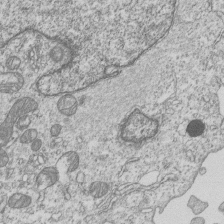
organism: Human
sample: MDA-MB-231 cells